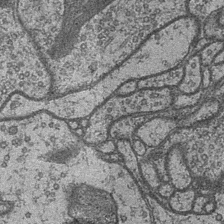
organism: Drosophila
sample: Optic medulla